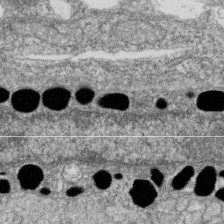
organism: Zebrafish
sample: Cilia; retinal pigment epithelium